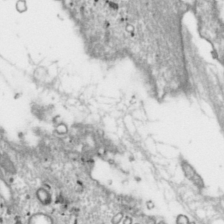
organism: Toxoplasma gondii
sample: Parasites in a vacuole inside a host cell